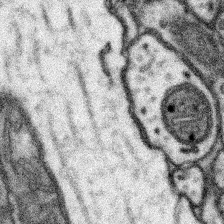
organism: Mouse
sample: Somatosensory cortex neuropil